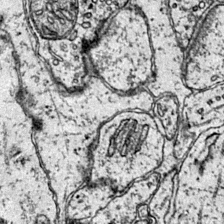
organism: Mouse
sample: Primary visual cortex